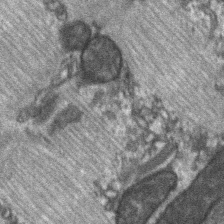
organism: C57BL Mouse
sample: Soleus